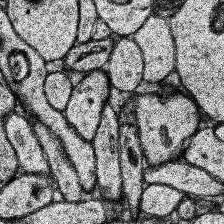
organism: Human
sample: Temporal Lobe